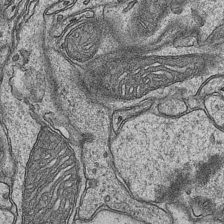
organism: Mouse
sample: CA1 Hippocampus